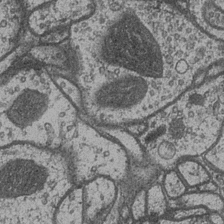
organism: Drosophila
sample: Optic medulla